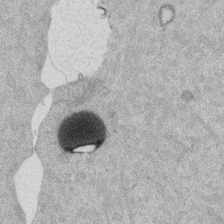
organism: Mouse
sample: Dividing mouse embryo 1 cell stage